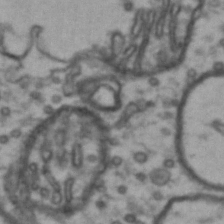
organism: Drosophila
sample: Brain